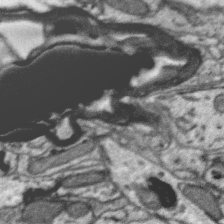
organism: Zebra finch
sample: Brain